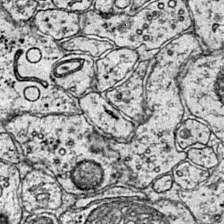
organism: Mouse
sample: Primary visual cortex